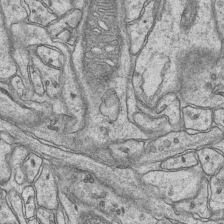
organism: Mouse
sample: CA1 Hippocampus